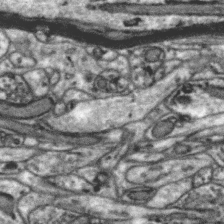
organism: Zebra finch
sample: Brain